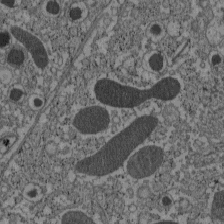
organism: C57BL Mouse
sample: Pancreatic islet